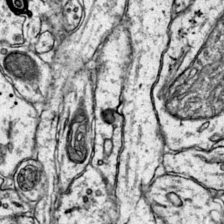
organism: Mouse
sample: Primary visual cortex